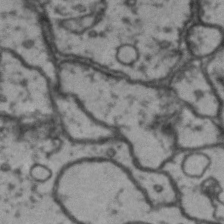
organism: Drosophila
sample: Brain